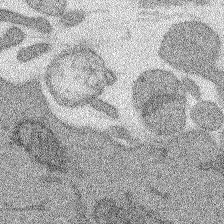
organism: Human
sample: HeLa cells